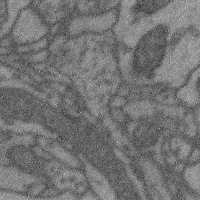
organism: Mouse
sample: Cerebral cortex